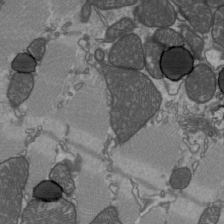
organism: C57BL Mouse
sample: Heart